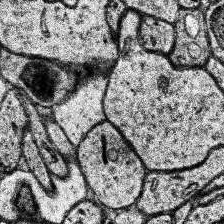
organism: Human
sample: Temporal Lobe